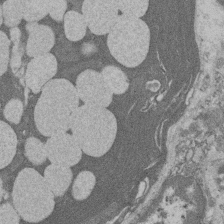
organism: Rat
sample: Salivary granule